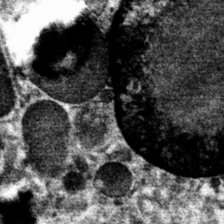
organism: Mouse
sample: Mouse hepatocytes